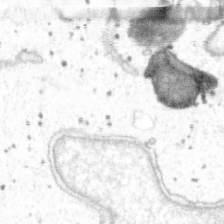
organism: Human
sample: HeLa cells